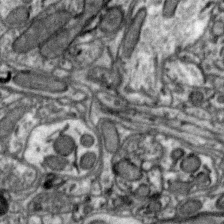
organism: Zebra finch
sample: Brain